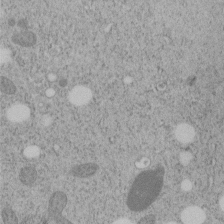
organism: C. elegans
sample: C. elegans embryo early stage